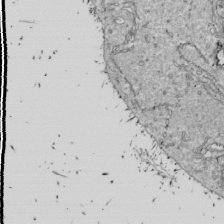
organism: Drosophila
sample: Cell division; meiosis; drosophila spermatocytes